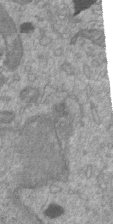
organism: Mouse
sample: ED-1 cell nuclei; centrioles